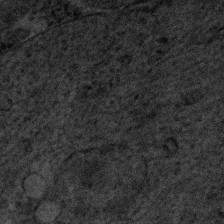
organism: Human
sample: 1205lu cells